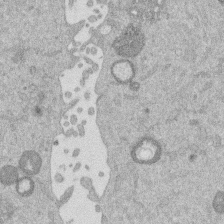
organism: Mouse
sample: Dividing mouse embryo 1 cell stage